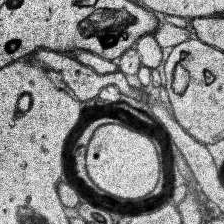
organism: Human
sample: Temporal Lobe